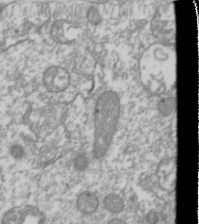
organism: Drosophila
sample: Cell division; meiosis; drosophila spermatocytes